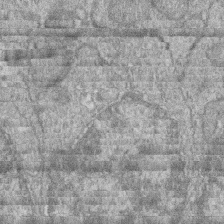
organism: Zebrafish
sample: Cilia; retinal pigment epithelium